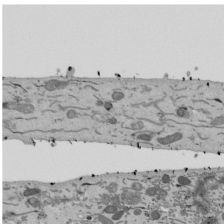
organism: Mouse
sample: ED-1 cell nuclei; centrioles